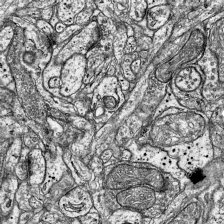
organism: Mouse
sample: Visual Cortex